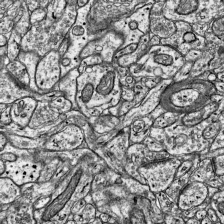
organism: Mouse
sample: Visual Cortex